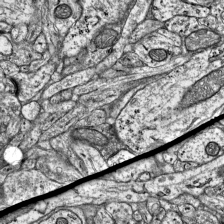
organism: Mouse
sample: Visual Cortex